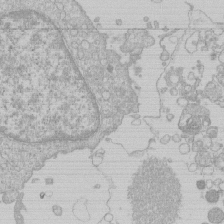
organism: Human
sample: Macrophage cells